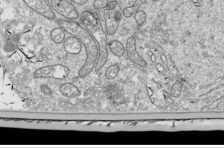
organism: Drosophila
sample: Cell division; meiosis; drosophila spermatocytes